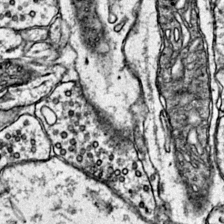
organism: Mouse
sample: Primary visual cortex